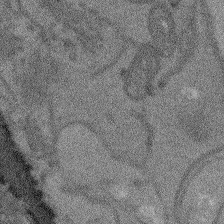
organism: Arabidopsis thaliana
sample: Root tip